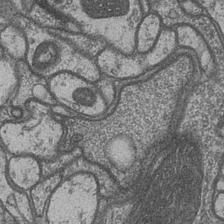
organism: Drosophila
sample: Optic medulla